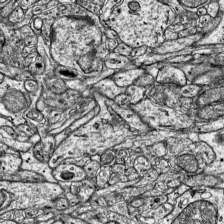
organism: Mouse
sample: Visual Cortex